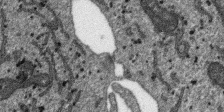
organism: Human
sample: Lung epithelial cells infected with SARS-CoV-2